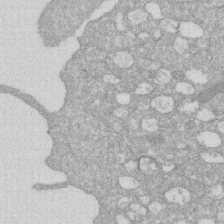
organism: Human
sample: HIV infected U937 cells